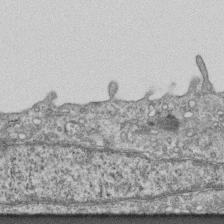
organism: Mouse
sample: Centriole in ependymal cells